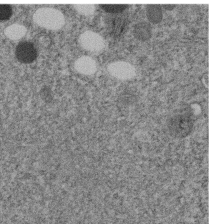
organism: C. elegans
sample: C. elegans embryo early stage